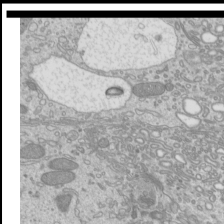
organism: Mouse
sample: Cilia; mouse epididymis